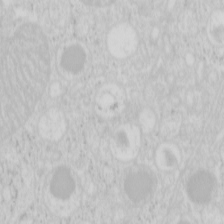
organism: Mouse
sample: Pancreas